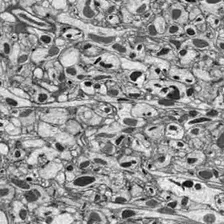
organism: Drosophila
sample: Optic lobe